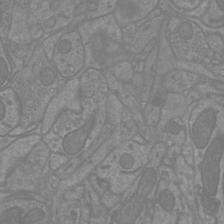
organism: Mouse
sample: Cortical neurons